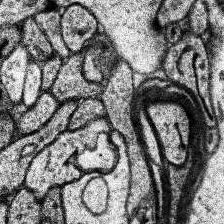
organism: Human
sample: Temporal Lobe